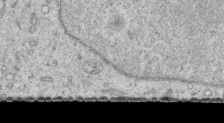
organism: Human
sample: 1205lu cells